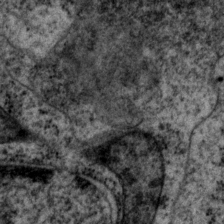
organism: P. pacificus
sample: Pharynx